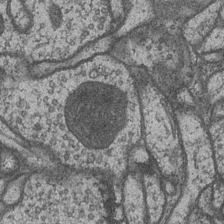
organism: Drosophila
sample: Optic medulla